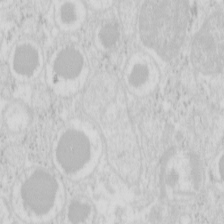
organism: Mouse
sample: Pancreas